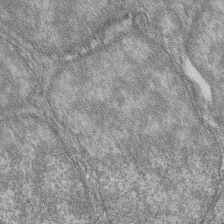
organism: Zebrafish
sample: Cilia; retinal pigment epithelium